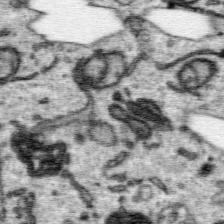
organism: Human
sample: HeLa cells